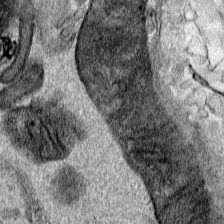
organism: Human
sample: Mitochondria in HCT116 cells